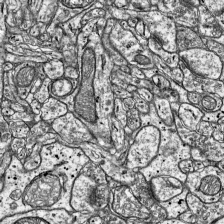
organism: Mouse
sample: Visual Cortex